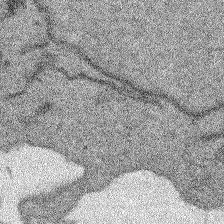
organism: Human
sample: HeLa cells